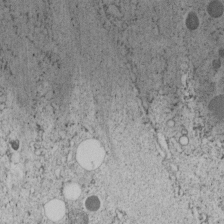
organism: C. elegans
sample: C. elegans embryo early stage